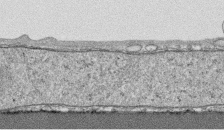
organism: Human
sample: CRL-1474